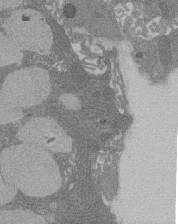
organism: Rat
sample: Salivary granule